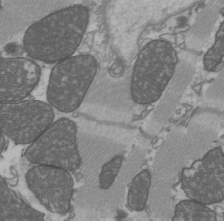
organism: C57BL Mouse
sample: Heart